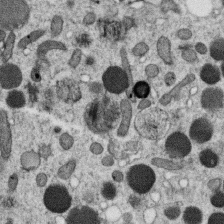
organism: C. elegans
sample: C. elegans oocyte; sperm cells